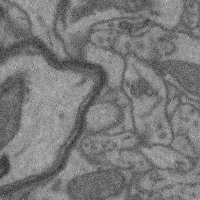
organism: Mouse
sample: Cerebral cortex